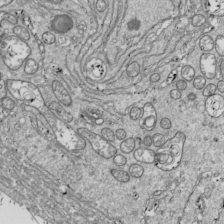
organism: Drosophila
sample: Cell division; meiosis; drosophila spermatocytes